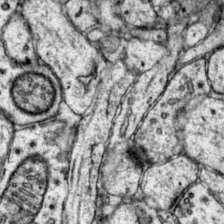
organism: Mouse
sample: Primary visual cortex